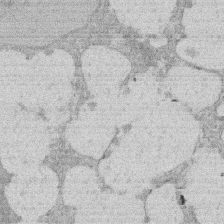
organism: Rat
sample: Salivary granule